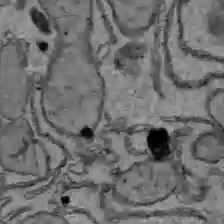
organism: C57BL Mouse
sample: Liver